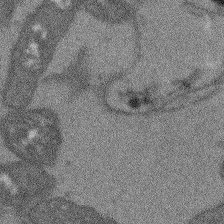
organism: Arabidopsis thaliana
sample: Root tip